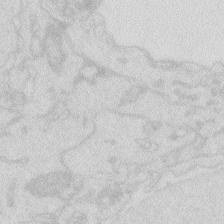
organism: Zebrafish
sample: Macrophage